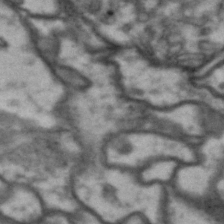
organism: Drosophila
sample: Brain